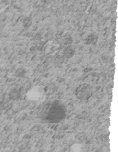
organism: C. elegans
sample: C. elegans embryo early stage